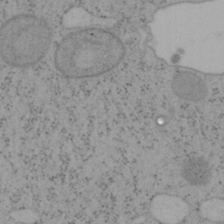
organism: Mouse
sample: OT-I killer T cells with ID8 ovarian cancer cells